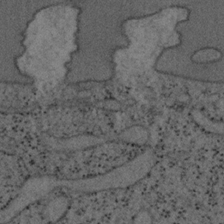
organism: Human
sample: HeLa cells